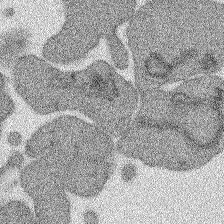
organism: Human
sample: HeLa cells